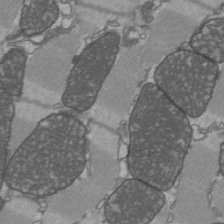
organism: C57BL Mouse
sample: Heart